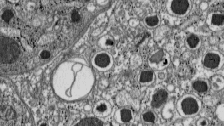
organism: C57BL Mouse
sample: Pancreatic islet